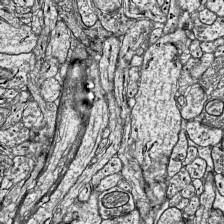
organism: Mouse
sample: Visual Cortex